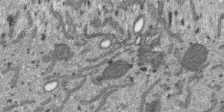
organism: Human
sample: Lung epithelial cells infected with SARS-CoV-2